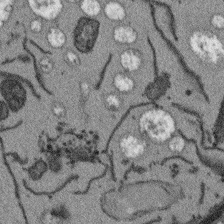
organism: Arabidopsis thaliana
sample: Root tip